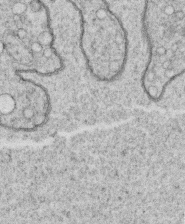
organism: C. elegans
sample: C. elegans oocyte; sperm cells